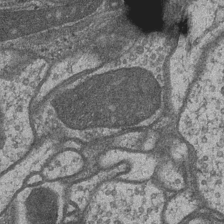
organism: Drosophila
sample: Optic medulla